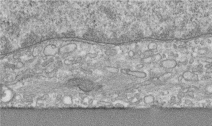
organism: Human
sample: Centriole in RPE cells